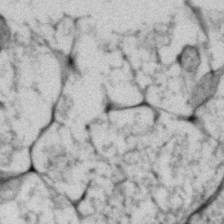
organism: Zebrafish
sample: Zebrafish embryo